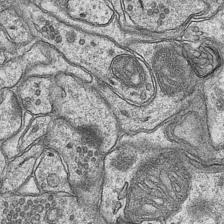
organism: Mouse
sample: CA1 Hippocampus